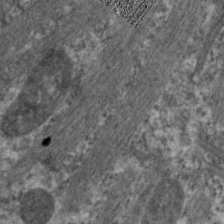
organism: C. elegans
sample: Pharynx